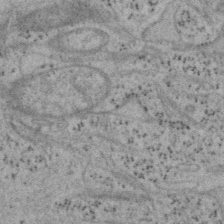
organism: Human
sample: HeLa cells